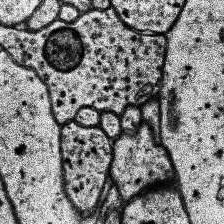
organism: Human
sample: Temporal Lobe